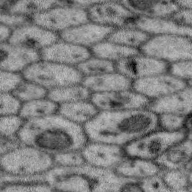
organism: Zebra finch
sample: Brain